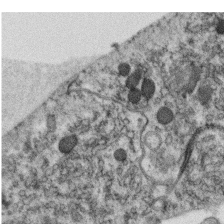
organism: C. elegans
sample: C. elegans oocyte; sperm cells